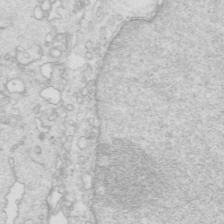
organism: Mouse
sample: Multiciliated cells